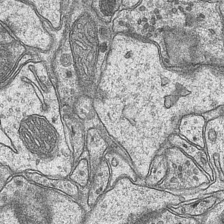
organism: Mouse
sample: CA1 Hippocampus